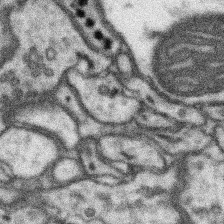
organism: Mouse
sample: Somatosensory cortex neuropil